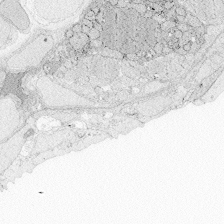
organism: Zebrafish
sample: Whole-Brain